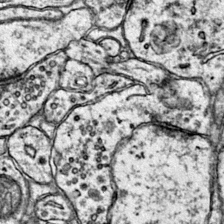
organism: Mouse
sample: Primary visual cortex